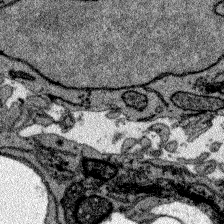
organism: Zebrafish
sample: Larval olfactory bulb